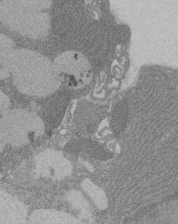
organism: Rat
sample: Salivary granule